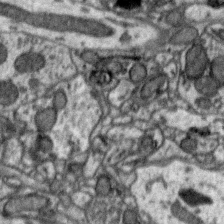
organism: Zebra finch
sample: Brain